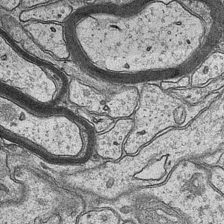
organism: Mouse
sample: CA1 Hippocampus